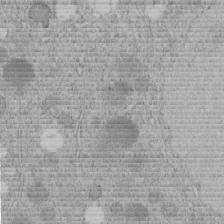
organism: C. elegans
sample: C. elegans embryo early stage